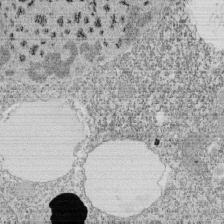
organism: Tetrahymena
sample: Cilia in tetrahymena